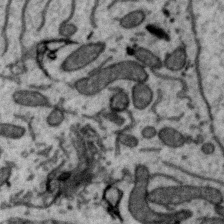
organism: Zebra finch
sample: Brain